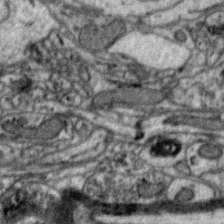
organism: Zebra finch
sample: Brain